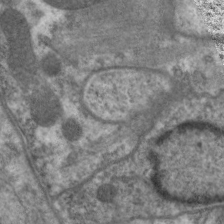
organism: C. elegans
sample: Pharynx